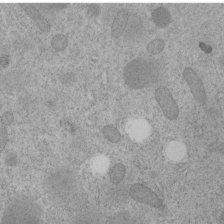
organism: C. elegans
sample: C. elegans embryo early stage